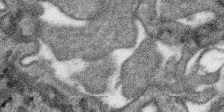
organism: Human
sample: Lung epithelial cells infected with SARS-CoV-2